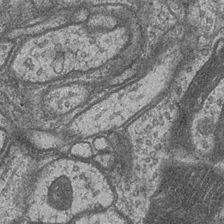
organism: Drosophila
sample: Optic medulla